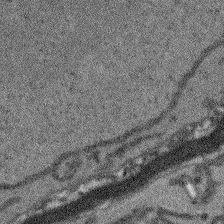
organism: Arabidopsis thaliana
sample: Root tip